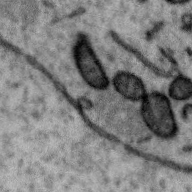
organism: Zebra finch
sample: Brain